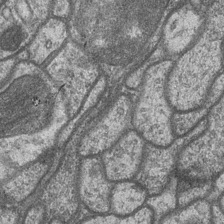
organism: Drosophila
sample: Optic medulla